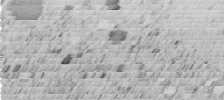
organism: C. elegans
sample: C. elegans embryo early stage